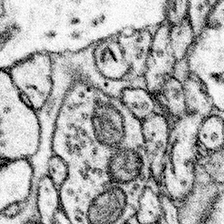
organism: Mouse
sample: Somatosensory cortex neuropil